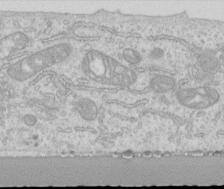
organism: Human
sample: Centriole in RPE cells